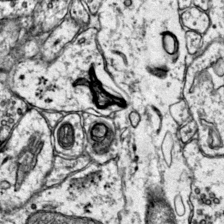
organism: Mouse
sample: Primary visual cortex